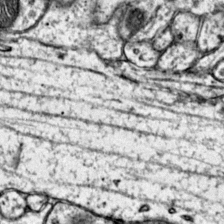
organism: Mouse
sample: Primary visual cortex